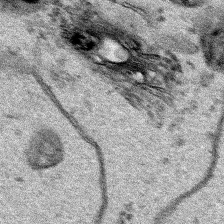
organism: Human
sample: Mitochondria in HCT116 cells